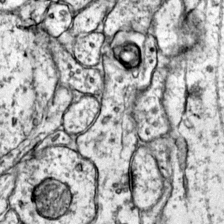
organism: Mouse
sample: Primary visual cortex